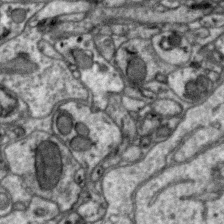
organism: Zebra finch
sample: Brain